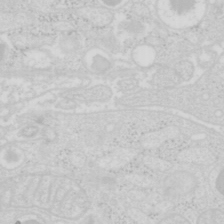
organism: Mouse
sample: Pancreas